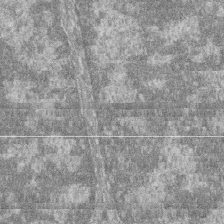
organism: Zebrafish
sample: Cilia; retinal pigment epithelium